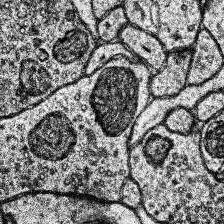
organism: Human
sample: Temporal Lobe